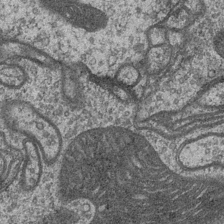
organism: Drosophila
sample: Optic medulla